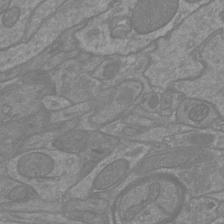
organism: Mouse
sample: Cortical neurons